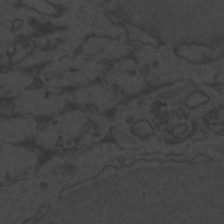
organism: Zebrafish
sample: Macrophage infected with Toxoplasma gondii